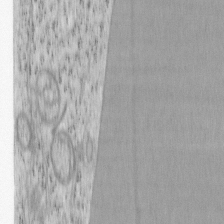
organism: Human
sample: HeLa cells